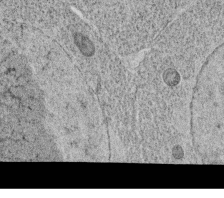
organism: C. elegans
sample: C. elegans oocyte; sperm cells